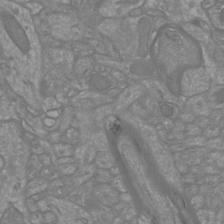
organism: Mouse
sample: Cortical neurons